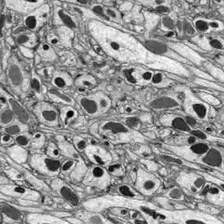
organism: Drosophila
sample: Optic lobe